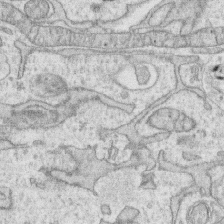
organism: Human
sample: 1205lu cells